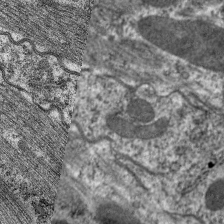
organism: C. elegans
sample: Pharynx